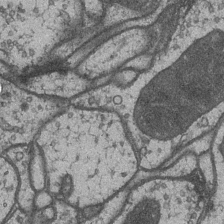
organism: Drosophila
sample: Optic medulla